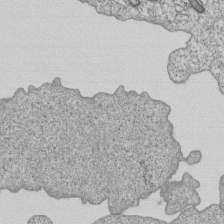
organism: Human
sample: MDA-MB-231 cells